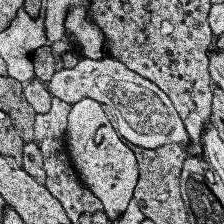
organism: Human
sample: Temporal Lobe